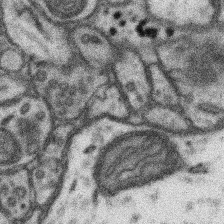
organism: Mouse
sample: Somatosensory cortex neuropil